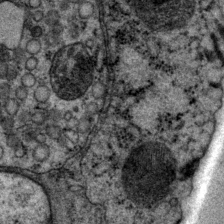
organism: P. pacificus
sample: Pharynx